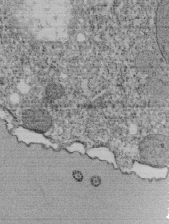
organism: Tetrahymena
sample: Cilia in tetrahymena